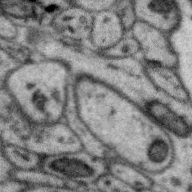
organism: Zebra finch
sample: Brain